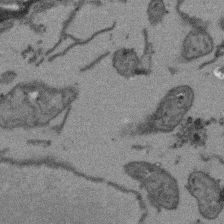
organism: Arabidopsis thaliana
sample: Root tip